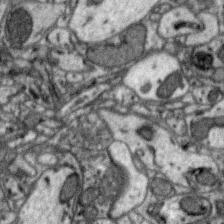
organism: Zebra finch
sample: Brain